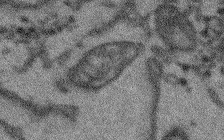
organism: Arabidopsis thaliana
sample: Root tip